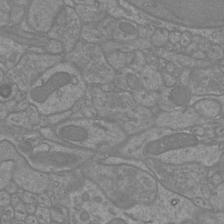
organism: Mouse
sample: Cortical neurons